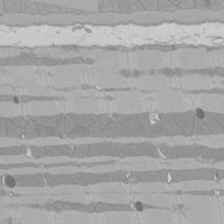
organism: Rat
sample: Left ventricle